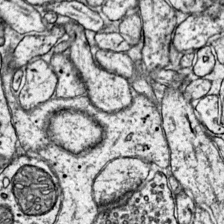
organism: Mouse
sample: Primary visual cortex